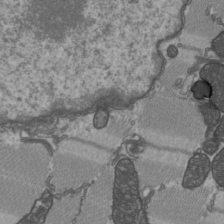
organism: C57BL Mouse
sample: Heart